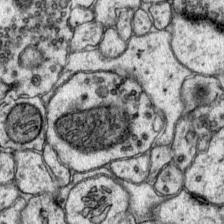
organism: Mouse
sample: Primary visual cortex